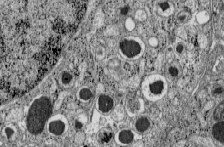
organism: C57BL Mouse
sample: Pancreatic islet